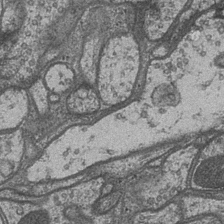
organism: Drosophila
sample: Optic medulla